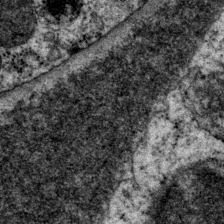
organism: P. pacificus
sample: Pharynx